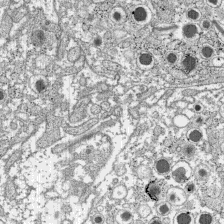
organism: C57BL Mouse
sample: Pancreatic islet